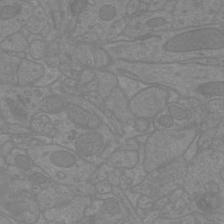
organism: Mouse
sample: Cortical neurons